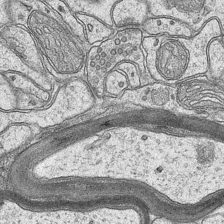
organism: Mouse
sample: CA1 Hippocampus